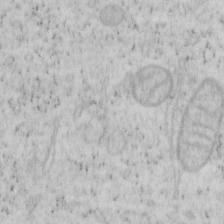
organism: Human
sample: HeLa cells